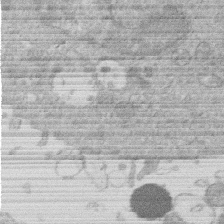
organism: Human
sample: Macrophage cells